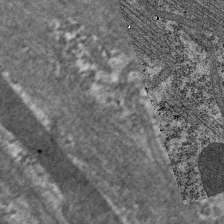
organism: C. elegans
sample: Pharynx